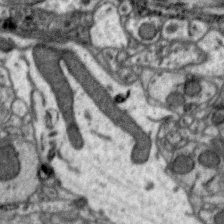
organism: Zebra finch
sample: Brain